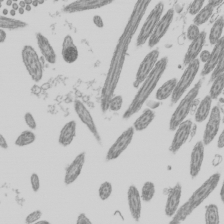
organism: Mouse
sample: Cilia; mouse epididymis